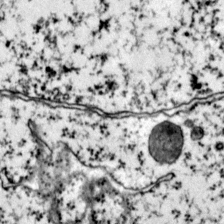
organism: Mouse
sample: Primary visual cortex